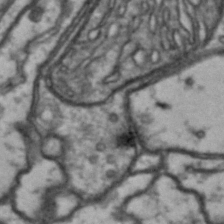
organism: Drosophila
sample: Brain